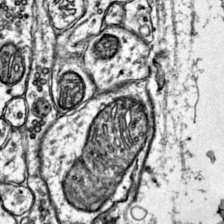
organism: Mouse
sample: Primary visual cortex